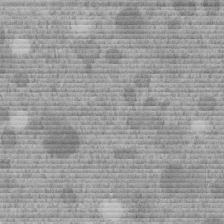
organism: C. elegans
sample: C. elegans embryo early stage